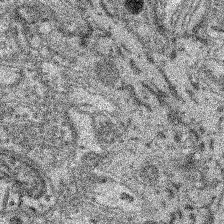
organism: Mouse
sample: Retina